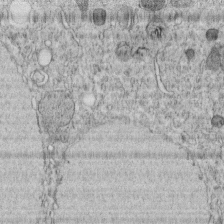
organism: C. elegans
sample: C. elegans embryo early stage